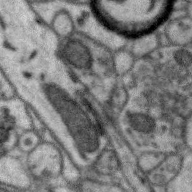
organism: Zebra finch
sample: Brain